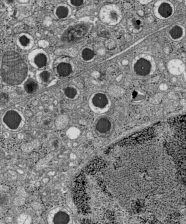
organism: C57BL Mouse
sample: Pancreatic islet